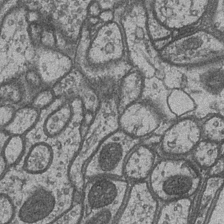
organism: Drosophila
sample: Optic medulla